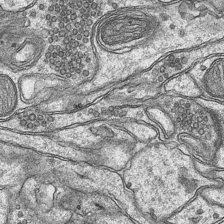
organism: Mouse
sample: CA1 Hippocampus